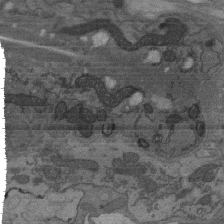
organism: C. elegans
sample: AFD neurons C. elegans